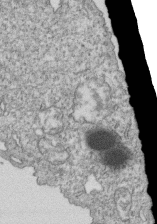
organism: Human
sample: HeLa cell HIV synapse